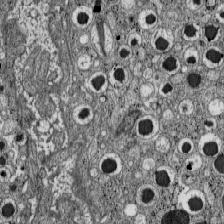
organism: C57BL Mouse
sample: Pancreatic islet